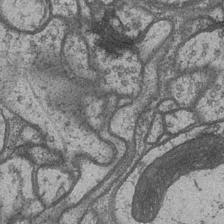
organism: Drosophila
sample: Optic medulla